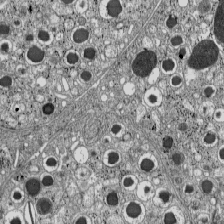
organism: C57BL Mouse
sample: Pancreatic islet